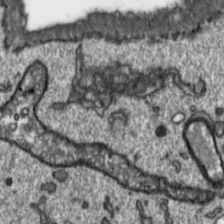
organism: Toxoplasma gondii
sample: Parasites in a vacuole inside a host cell